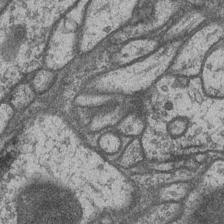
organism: Drosophila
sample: Optic medulla